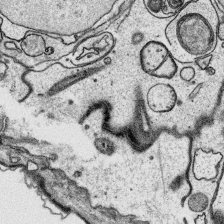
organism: Platynereis dumerilii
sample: Parapodia